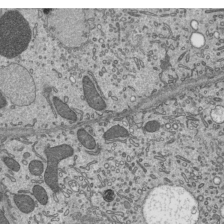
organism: Mouse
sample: Mouse epididymis efferent ductule cilia